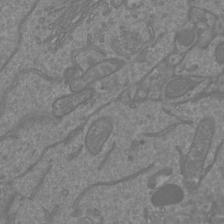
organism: Mouse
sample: Cortical neurons